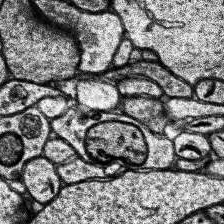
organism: Human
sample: Temporal Lobe